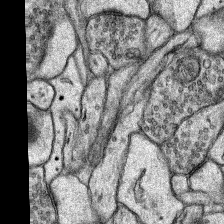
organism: Rat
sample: Hippocampus